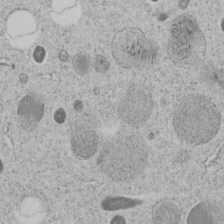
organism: C. elegans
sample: C. elegans embryo early stage